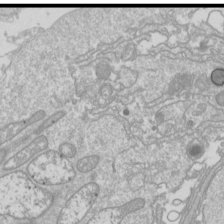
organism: Drosophila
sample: Cell division; meiosis; drosophila spermatocytes